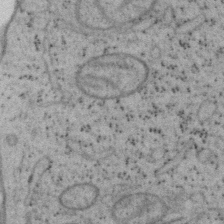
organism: Human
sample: HeLa cells